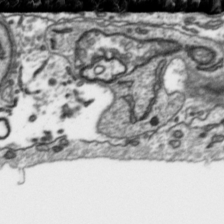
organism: Toxoplasma gondii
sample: Parasites in a vacuole inside a host cell